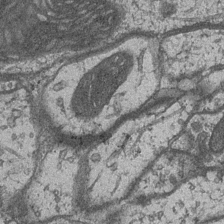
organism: Drosophila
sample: Optic medulla